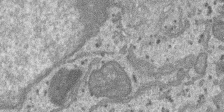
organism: Human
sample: Lung epithelial cells infected with SARS-CoV-2